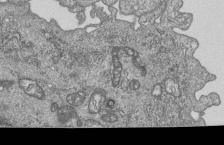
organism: Human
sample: MDA-MB-231 cells